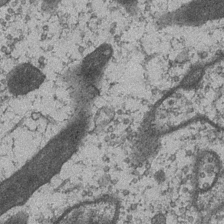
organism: Drosophila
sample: Optic medulla